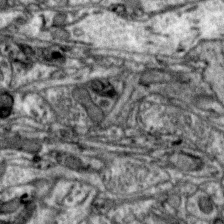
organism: Zebra finch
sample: Brain